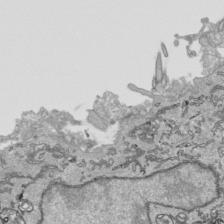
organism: Human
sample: Mitochondria in HCT116 cells